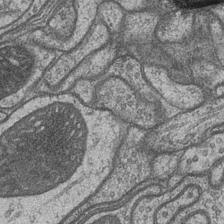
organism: Drosophila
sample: Optic medulla